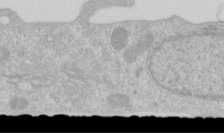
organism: Human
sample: Centriole in RPE cells